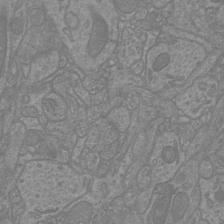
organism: Mouse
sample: Cortical neurons